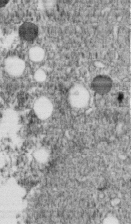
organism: C. elegans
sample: C. elegans embryo early stage